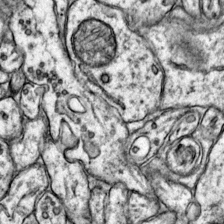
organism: Mouse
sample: Primary visual cortex